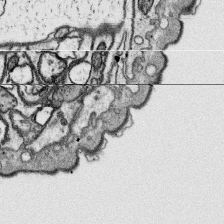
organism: Platynereis dumerilii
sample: Parapodia